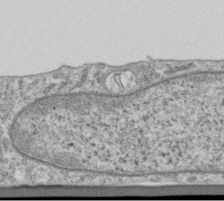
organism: Human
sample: Centriole in RPE cells